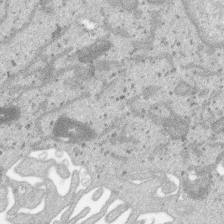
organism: Human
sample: Lung epithelial cells infected with SARS-CoV-2